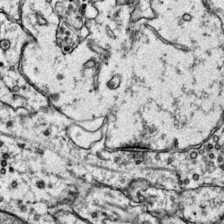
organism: Mouse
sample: Primary visual cortex